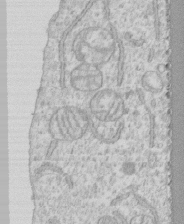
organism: Human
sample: CRL-1474